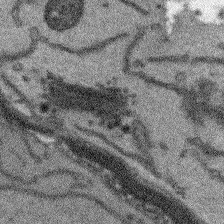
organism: Arabidopsis thaliana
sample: Root tip